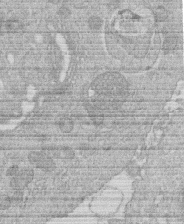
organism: Human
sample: Macrophage cells